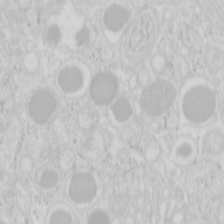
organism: Mouse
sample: Pancreas